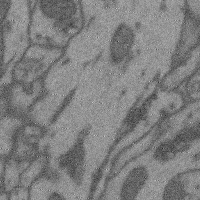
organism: Mouse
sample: Cerebral cortex